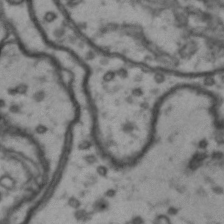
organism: Drosophila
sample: Brain